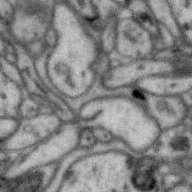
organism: Zebra finch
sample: Brain